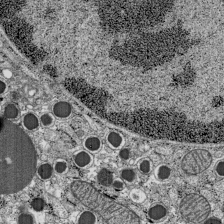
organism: C57BL Mouse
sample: Pancreatic islet